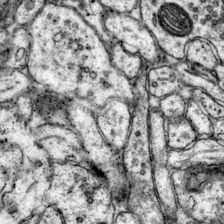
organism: Mouse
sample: Primary visual cortex